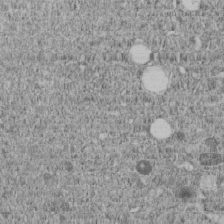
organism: C. elegans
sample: C. elegans embryo early stage